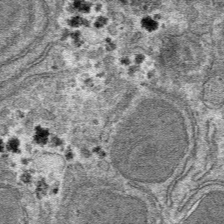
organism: Mouse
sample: Mouse hepatocytes